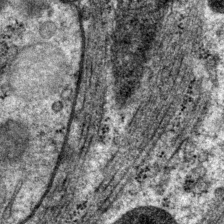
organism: P. pacificus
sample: Pharynx